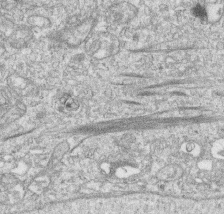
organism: Human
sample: HeLa cell HIV synapse